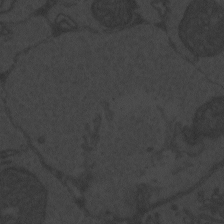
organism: Zebrafish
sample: Macrophage infected with Toxoplasma gondii